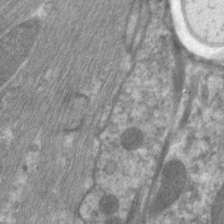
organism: C. elegans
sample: Pharynx